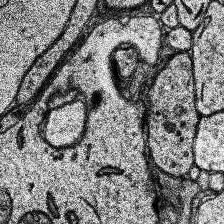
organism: Human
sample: Temporal Lobe